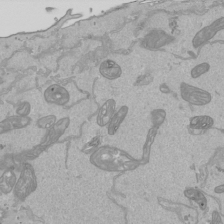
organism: Human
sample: Mitochondria in HCT116 cells